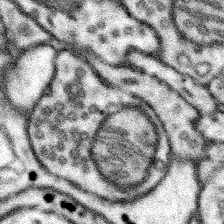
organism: Mouse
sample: Somatosensory cortex neuropil